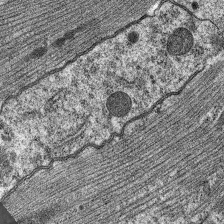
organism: C. elegans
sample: Pharynx